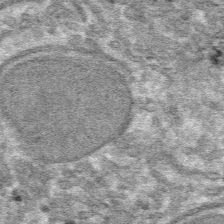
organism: Mouse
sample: Mouse hepatocytes